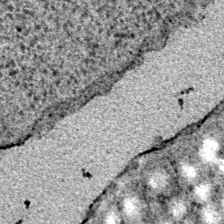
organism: E. coli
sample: E. Coli Bacteria